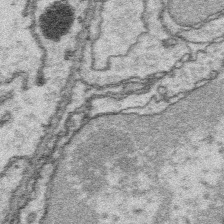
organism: Platynereis dumerilii